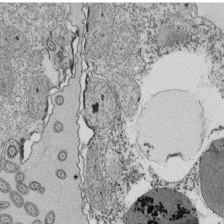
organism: Tetrahymena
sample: Cilia in tetrahymena